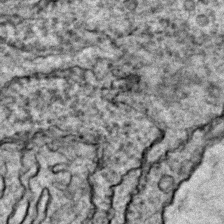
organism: Zebrafish